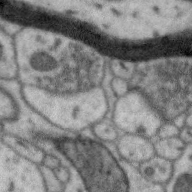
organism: Zebra finch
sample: Brain